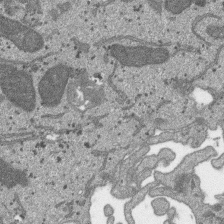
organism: Human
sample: Lung epithelial cells infected with SARS-CoV-2